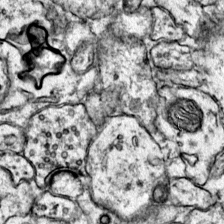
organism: Mouse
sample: Primary visual cortex